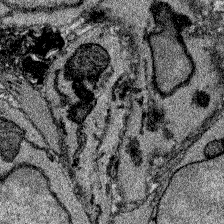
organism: Zebrafish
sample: Larval olfactory bulb